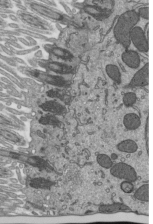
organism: Mouse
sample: Mouse epididymis efferent ductule cilia